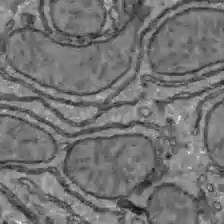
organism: C57BL Mouse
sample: Liver